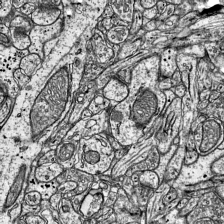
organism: Mouse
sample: Visual Cortex